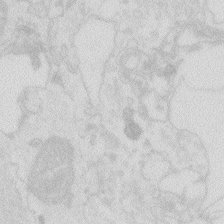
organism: Zebrafish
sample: Macrophage